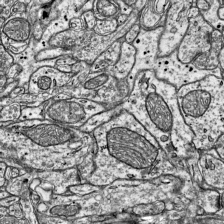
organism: Mouse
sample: Visual Cortex